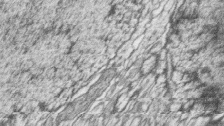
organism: Zebrafish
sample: synaptic ribbons in rod cells and cone cells